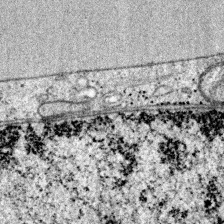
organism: Human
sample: HeLa cells